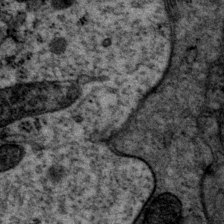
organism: P. pacificus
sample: Pharynx